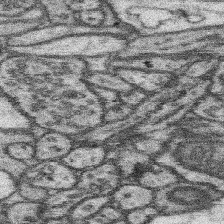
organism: Mouse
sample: Somatosensory cortex neuropil